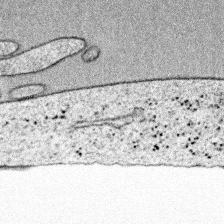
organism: Human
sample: HeLa cells